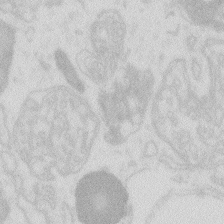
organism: Zebrafish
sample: Macrophage